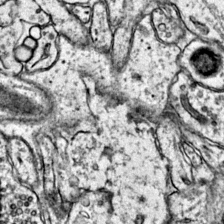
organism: Mouse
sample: Primary visual cortex